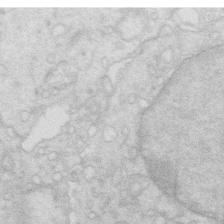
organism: Mouse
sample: Multiciliated cells